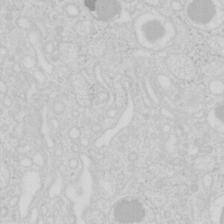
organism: Mouse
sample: Pancreas